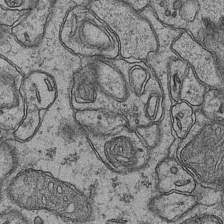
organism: Mouse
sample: CA1 Hippocampus